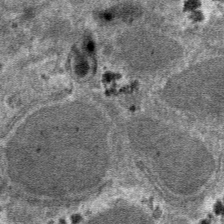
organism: Mouse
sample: Mouse hepatocytes